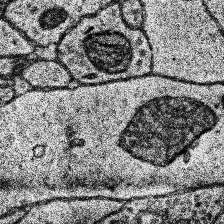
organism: Human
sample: Temporal Lobe